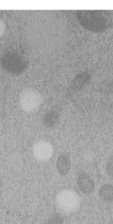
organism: C. elegans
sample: C. elegans embryo early stage